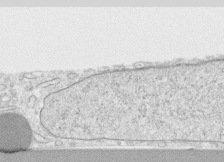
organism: Human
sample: CRL-1474